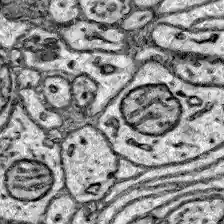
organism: Zebrafish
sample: Brain